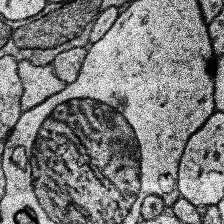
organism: Human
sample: Temporal Lobe